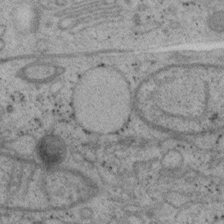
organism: Human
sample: HeLa cells